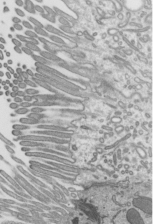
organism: Mouse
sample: Mouse epididymis efferent ductule cilia